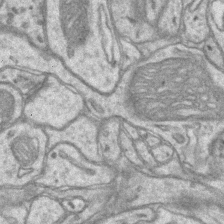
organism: Mouse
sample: CA1 Hippocampus